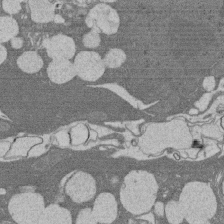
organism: Rat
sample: Salivary granule